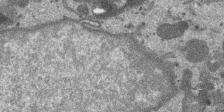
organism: Human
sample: Lung epithelial cells infected with SARS-CoV-2